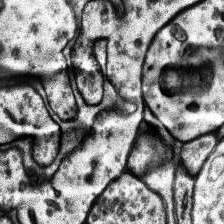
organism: Human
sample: Temporal Lobe